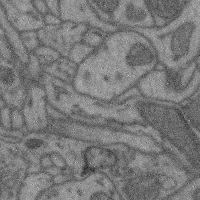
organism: Mouse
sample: Cerebral cortex